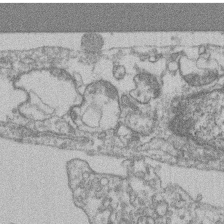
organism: Mouse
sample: T cell stromal cell synapse